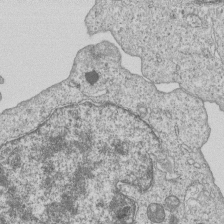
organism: Human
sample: MDA-MB-231 cells